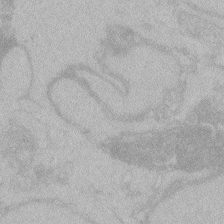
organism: Zebrafish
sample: Macrophage infected with Toxoplasma gondii